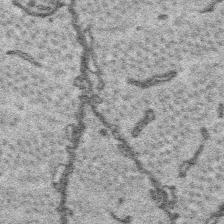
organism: Platynereis dumerilii